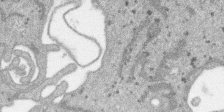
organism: Human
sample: Lung epithelial cells infected with SARS-CoV-2